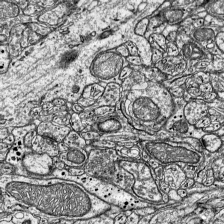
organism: Mouse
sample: Visual Cortex